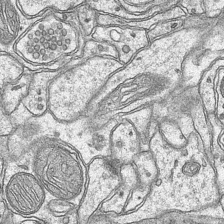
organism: Mouse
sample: CA1 Hippocampus